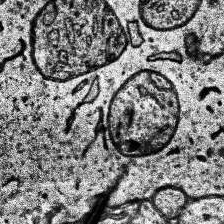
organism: Human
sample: Temporal Lobe